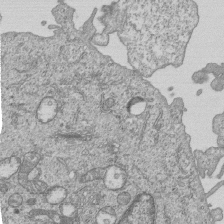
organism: Human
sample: MDA-MB-231 cells